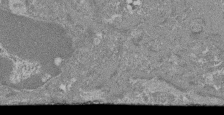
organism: Mouse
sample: Glomerulus